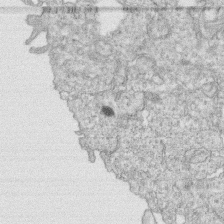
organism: Human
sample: HeLa cell HIV synapse